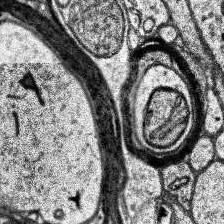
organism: Human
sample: Temporal Lobe